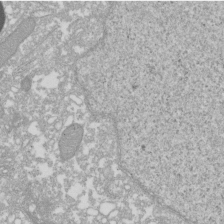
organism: Xenopus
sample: Cilia; centrioles in frog embryo cells